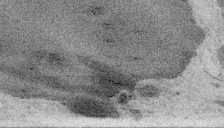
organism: Embia sp.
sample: Silk gland